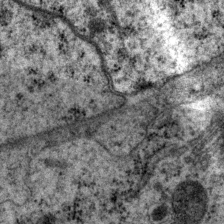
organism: P. pacificus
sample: Pharynx